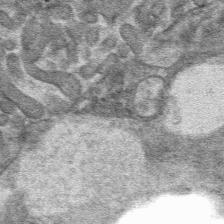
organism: Mouse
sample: Mouse hepatocytes